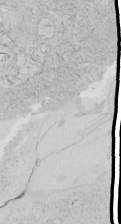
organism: Human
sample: Mitochondria in HCT116 cells